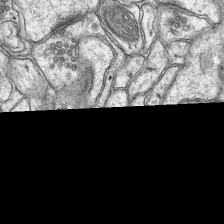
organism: Mouse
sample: CA1 Hippocampus